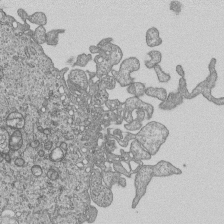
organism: Human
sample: MDA-MB-231 cells